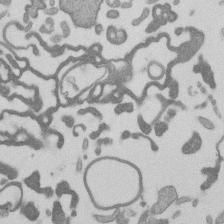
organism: Mouse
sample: Dividing mouse embryo 1 cell stage